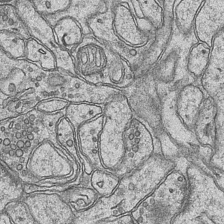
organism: Mouse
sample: CA1 Hippocampus